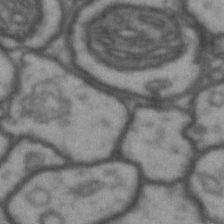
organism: Drosophila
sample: Brain